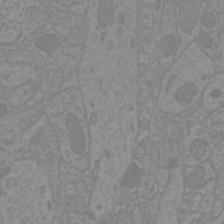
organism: Mouse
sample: Cortical neurons